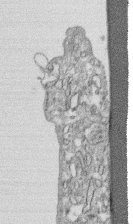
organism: Human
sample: CRL-1474